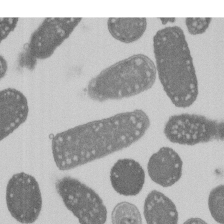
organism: E. coli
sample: Bacterial nucleoid